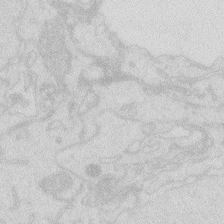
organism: Zebrafish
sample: Macrophage